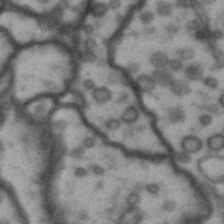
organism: Drosophila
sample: Brain